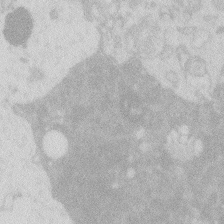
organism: Zebrafish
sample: Macrophage